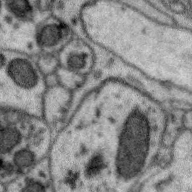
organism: Zebra finch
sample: Brain